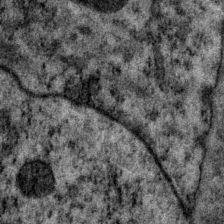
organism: P. pacificus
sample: Pharynx